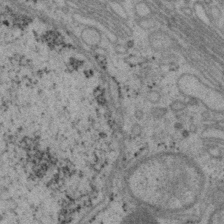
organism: Human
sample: HeLa cells